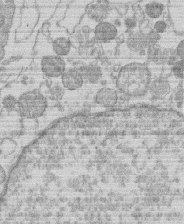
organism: Human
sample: Macrophage cells